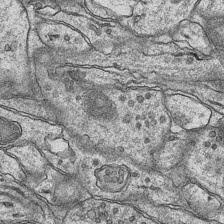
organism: Mouse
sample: CA1 Hippocampus